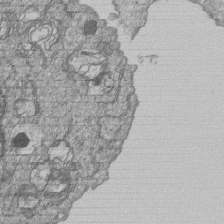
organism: Human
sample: MDA-MB-231 cells